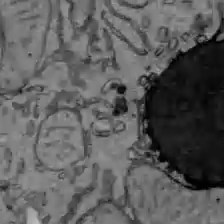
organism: C57BL Mouse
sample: Liver